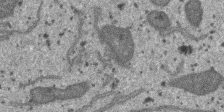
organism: Human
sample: Lung epithelial cells infected with SARS-CoV-2